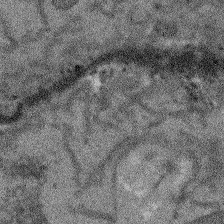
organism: Arabidopsis thaliana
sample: Root tip